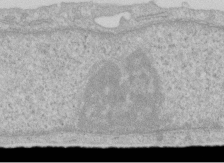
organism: Human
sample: Centriole in RPE cells